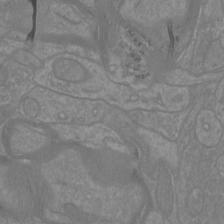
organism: Mouse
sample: Cortical neurons